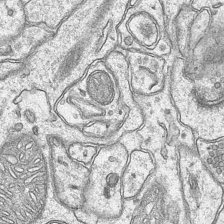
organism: Mouse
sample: CA1 Hippocampus